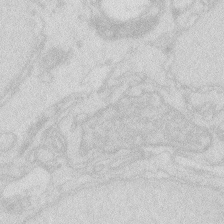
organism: Zebrafish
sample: Macrophage